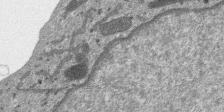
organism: Human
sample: Lung epithelial cells infected with SARS-CoV-2